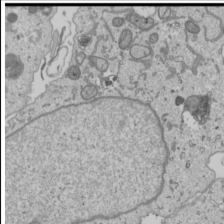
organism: Human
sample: Mitochondria in U2OS cells